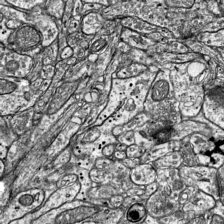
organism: Mouse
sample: Visual Cortex